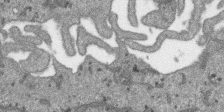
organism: Human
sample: Lung epithelial cells infected with SARS-CoV-2